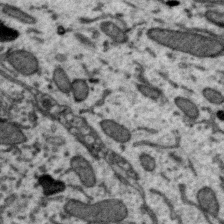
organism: Zebra finch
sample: Brain